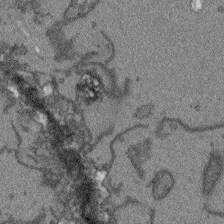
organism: Arabidopsis thaliana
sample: Root tip